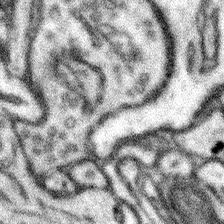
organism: Mouse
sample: Somatosensory cortex neuropil